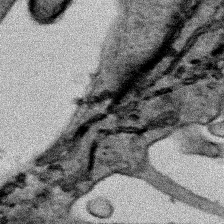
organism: Human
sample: Mitochondria in HCT116 cells